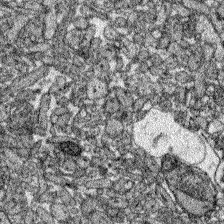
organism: Zebrafish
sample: Larval olfactory bulb